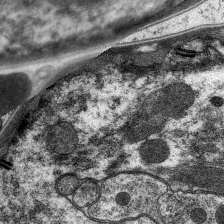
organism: C. elegans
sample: Pharynx